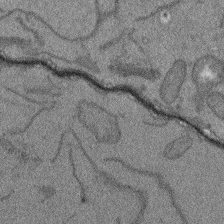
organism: Arabidopsis thaliana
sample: Root tip